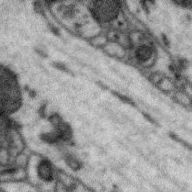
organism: Zebra finch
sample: Brain